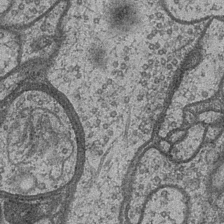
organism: Drosophila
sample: Optic medulla